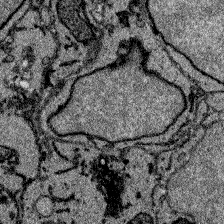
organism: Zebrafish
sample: Larval olfactory bulb